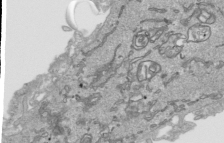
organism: Human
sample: Mitochondria in HCT116 cells